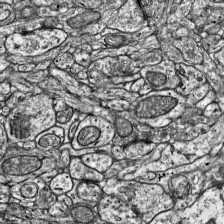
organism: Mouse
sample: Visual Cortex